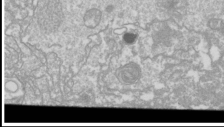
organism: Drosophila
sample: Cell division; meiosis; drosophila spermatocytes